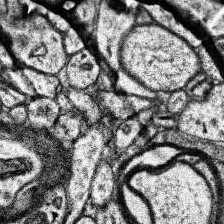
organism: Human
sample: Temporal Lobe